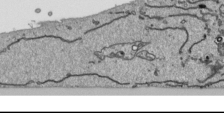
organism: Human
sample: Mitochondria in HCT116 cells